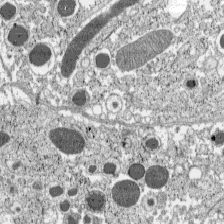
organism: C57BL Mouse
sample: Pancreatic islet